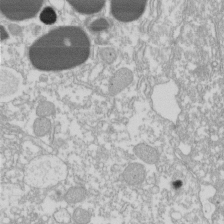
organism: Xenopus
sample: Cilia; centrioles in frog embryo cells